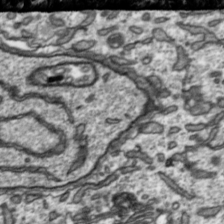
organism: Toxoplasma gondii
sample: Parasites in a vacuole inside a host cell